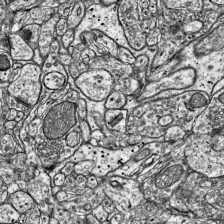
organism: Mouse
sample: Visual Cortex